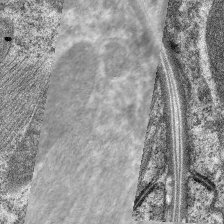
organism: C. elegans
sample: Pharynx